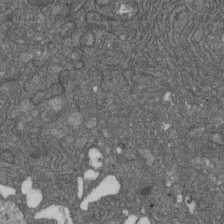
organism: Drosophila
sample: Nephrocyte